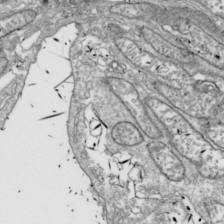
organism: Drosophila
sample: Cell division; meiosis; drosophila spermatocytes